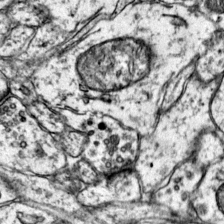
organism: Mouse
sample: Primary visual cortex